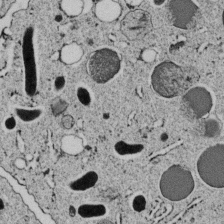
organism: C. elegans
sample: C. elegans embryo early stage